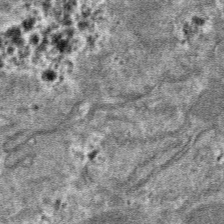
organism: Mouse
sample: Mouse hepatocytes